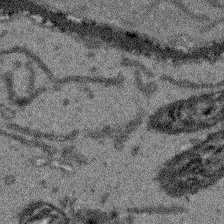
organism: Arabidopsis thaliana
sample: Root tip